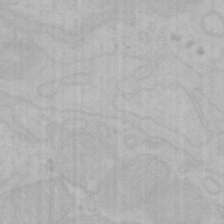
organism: Mouse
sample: Choroid plexus